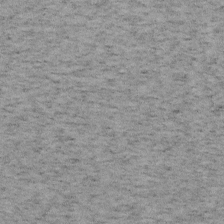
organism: Mouse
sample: OT-I killer T cells with ID8 ovarian cancer cells